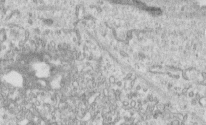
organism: Human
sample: Centriole in RPE cells